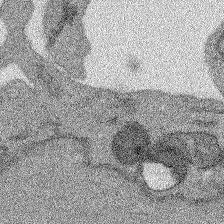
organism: Human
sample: HeLa cells